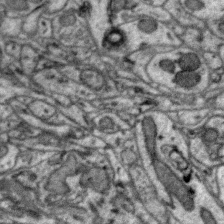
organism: Zebra finch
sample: Brain